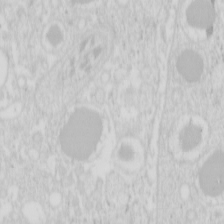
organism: Mouse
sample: Pancreas